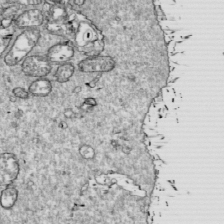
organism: Drosophila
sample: Cell division; meiosis; drosophila spermatocytes